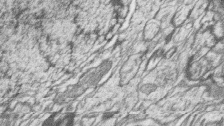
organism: Zebrafish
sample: synaptic ribbons in rod cells and cone cells